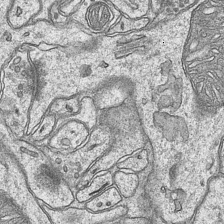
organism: Mouse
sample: CA1 Hippocampus